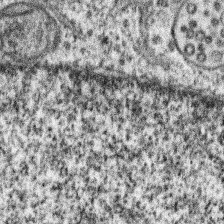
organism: Human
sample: HeLa cells